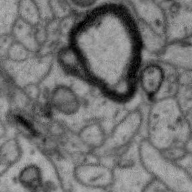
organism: Zebra finch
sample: Brain